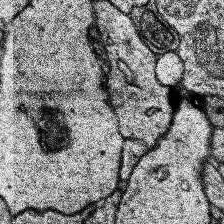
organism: Human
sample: Temporal Lobe